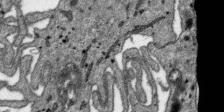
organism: Human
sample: Lung epithelial cells, uninfected (mock) control